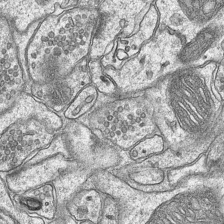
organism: Mouse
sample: CA1 Hippocampus